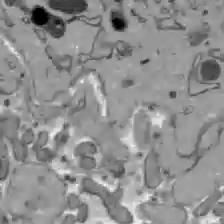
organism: C57BL Mouse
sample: Liver